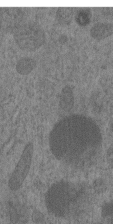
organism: C. elegans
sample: C. elegans embryo early stage